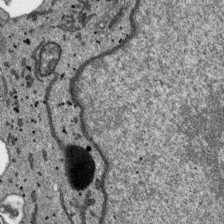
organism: Human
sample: Lung epithelial cells, uninfected (mock) control